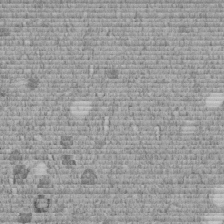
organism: C. elegans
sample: C. elegans embryo early stage